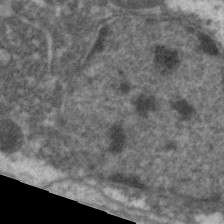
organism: C. elegans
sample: Pharynx